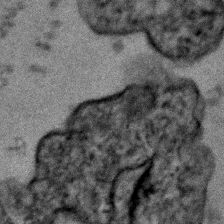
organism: Human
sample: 1205lu cells